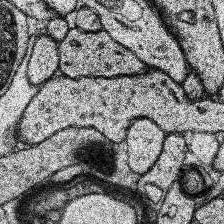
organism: Human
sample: Temporal Lobe